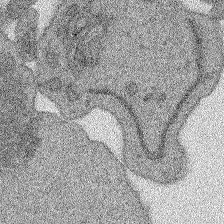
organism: Human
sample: HeLa cells